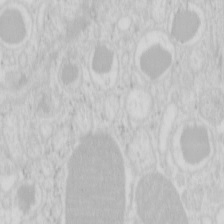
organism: Mouse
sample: Pancreas